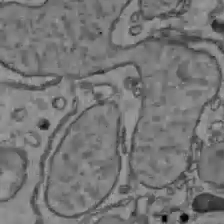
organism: C57BL Mouse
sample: Liver